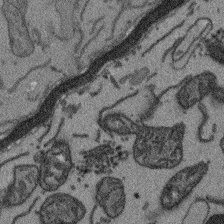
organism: Arabidopsis thaliana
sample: Root tip